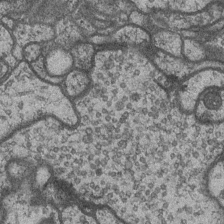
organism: Drosophila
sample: Optic medulla